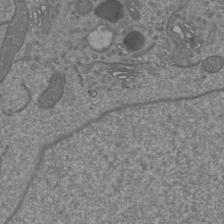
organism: Mouse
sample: Cortical neurons